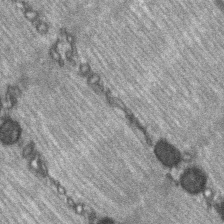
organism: C57BL Mouse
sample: Soleus